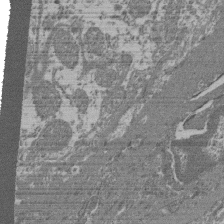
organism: Mouse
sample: Glomerulus